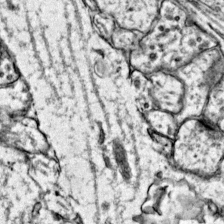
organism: Mouse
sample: Primary visual cortex